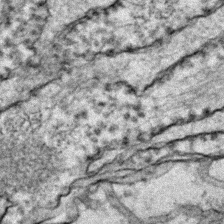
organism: Zebrafish